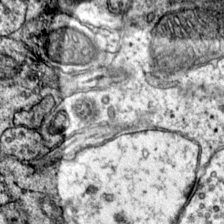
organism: Mouse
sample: Primary visual cortex